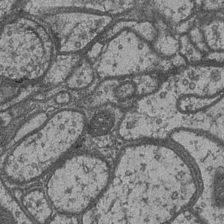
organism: Drosophila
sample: Optic medulla